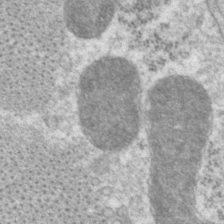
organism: P. pacificus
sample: Pharynx